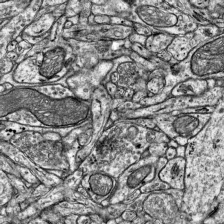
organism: Mouse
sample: Visual Cortex